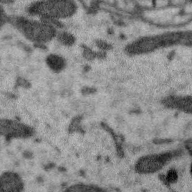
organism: Zebra finch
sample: Brain